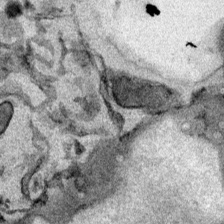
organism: Mouse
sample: Cancer cell death in ED-1 cells